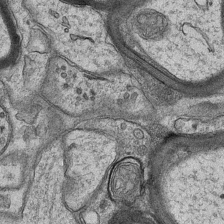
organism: Mouse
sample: CA1 Hippocampus